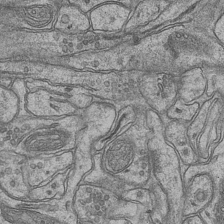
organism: Mouse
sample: CA1 Hippocampus